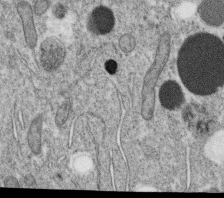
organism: C. elegans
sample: C. elegans oocyte; sperm cells